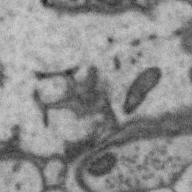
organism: Zebra finch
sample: Brain